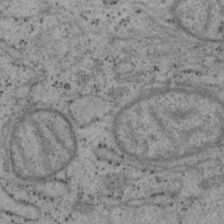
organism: Human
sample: HeLa cells